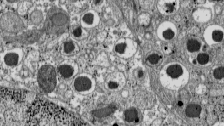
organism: C57BL Mouse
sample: Pancreatic islet